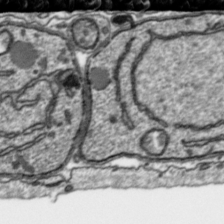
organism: Toxoplasma gondii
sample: Parasites in a vacuole inside a host cell